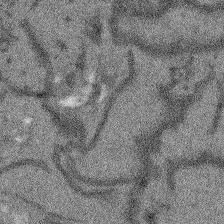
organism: Arabidopsis thaliana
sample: Root tip